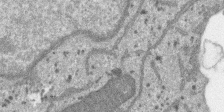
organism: Human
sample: Lung epithelial cells infected with SARS-CoV-2